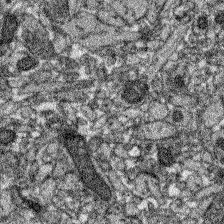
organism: Zebrafish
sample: Larval olfactory bulb